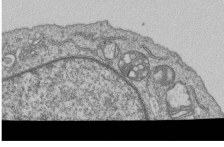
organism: Human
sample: MDA-MB-231 cells